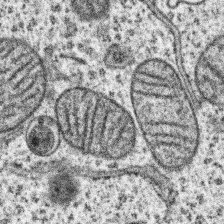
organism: Human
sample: HeLa cells